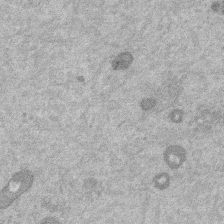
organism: Mouse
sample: Dividing mouse embryo 1 cell stage